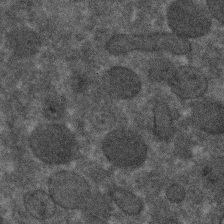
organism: C. elegans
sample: C. elegans embryo